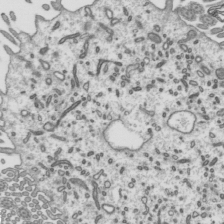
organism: Mouse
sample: Mouse epididymis efferent ductule cilia